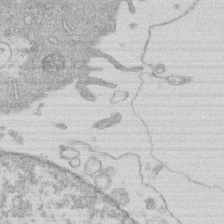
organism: Human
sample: Macrophage cells